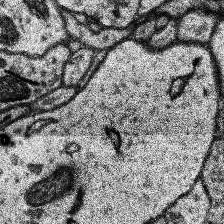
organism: Human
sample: Temporal Lobe